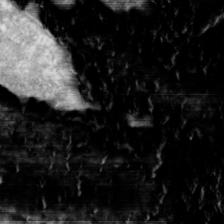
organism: Toxoplasma gondii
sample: Parasites in a vacuole inside a host cell